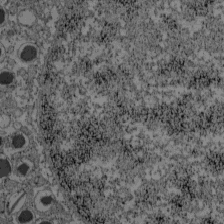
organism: C57BL Mouse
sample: Pancreatic islet